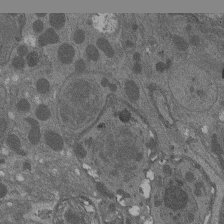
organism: Drosophila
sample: Antenna